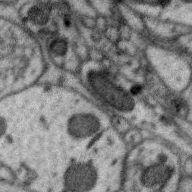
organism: Zebra finch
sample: Brain